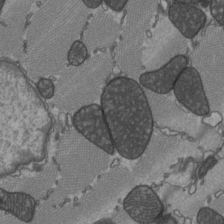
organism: C57BL Mouse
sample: Heart